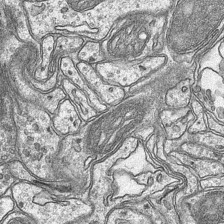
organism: Mouse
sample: CA1 Hippocampus